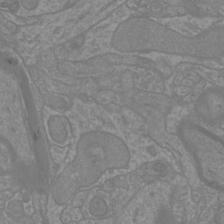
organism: Mouse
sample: Cortical neurons